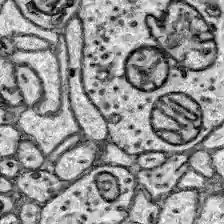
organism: Zebrafish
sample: Brain